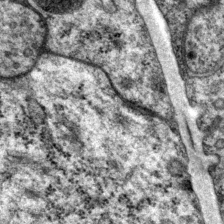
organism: P. pacificus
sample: Pharynx